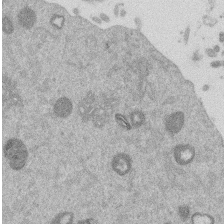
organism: Mouse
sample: Dividing mouse embryo 1 cell stage